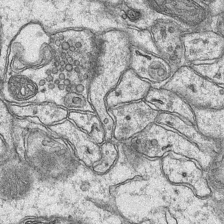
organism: Mouse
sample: CA1 Hippocampus